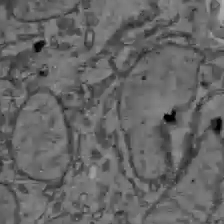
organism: C57BL Mouse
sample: Liver